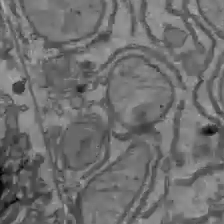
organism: C57BL Mouse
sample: Liver